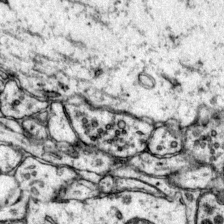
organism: Mouse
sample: Primary visual cortex